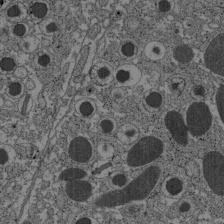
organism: C57BL Mouse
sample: Pancreatic islet